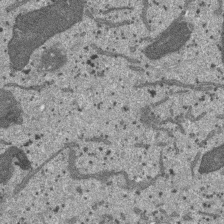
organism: Human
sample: Lung epithelial cells infected with SARS-CoV-2